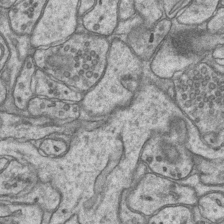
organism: Mouse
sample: CA1 Hippocampus